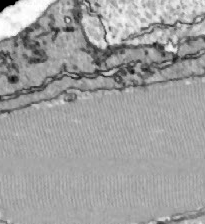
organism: Zebrafish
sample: Actinotrichia fibers